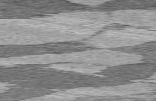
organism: C57BL Mouse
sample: Heart